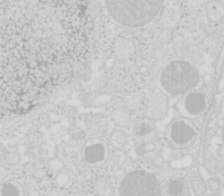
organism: Mouse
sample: Pancreas